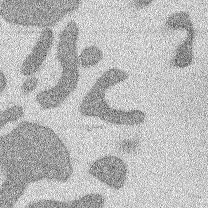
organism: Human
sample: HeLa cells